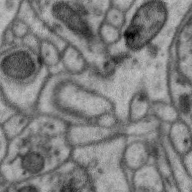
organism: Zebra finch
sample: Brain